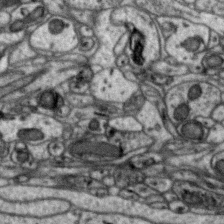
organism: Zebra finch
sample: Brain